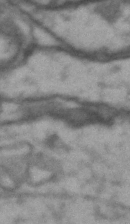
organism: Drosophila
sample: Brain